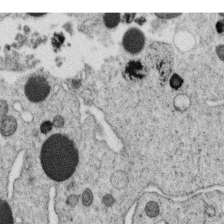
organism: C. elegans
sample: C. elegans oocyte; sperm cells